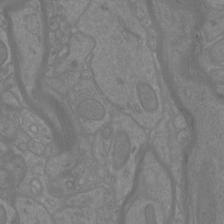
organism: Mouse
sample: Cortical neurons